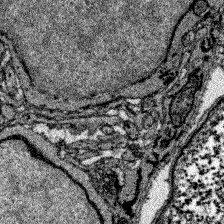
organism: Zebrafish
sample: Larval olfactory bulb